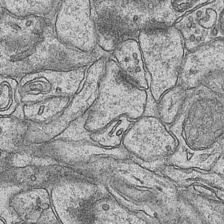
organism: Mouse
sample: CA1 Hippocampus